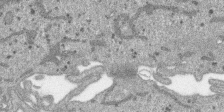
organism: Human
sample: Lung epithelial cells infected with SARS-CoV-2